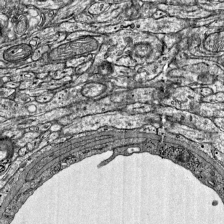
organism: Mouse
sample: Visual Cortex